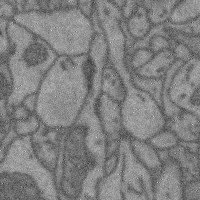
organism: Mouse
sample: Cerebral cortex